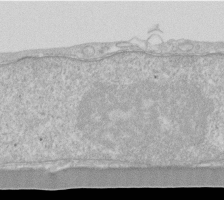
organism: Human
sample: Fibroblast cells